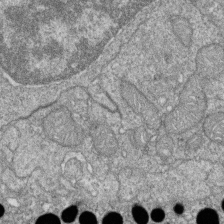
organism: Zebrafish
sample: Cilia; retinal pigment epithelium